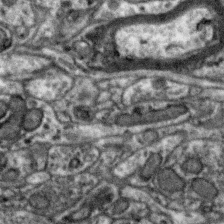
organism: Zebra finch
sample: Brain